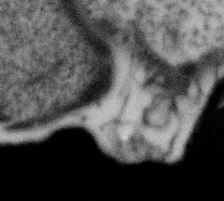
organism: Gemmata obscuriglobus